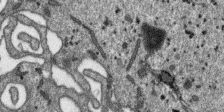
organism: Human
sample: Lung epithelial cells infected with SARS-CoV-2